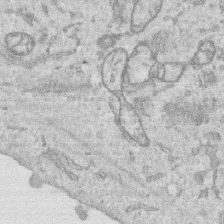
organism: Human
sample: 1205lu cells